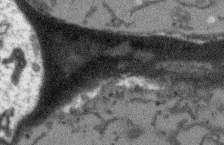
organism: Arabidopsis thaliana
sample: Root tip